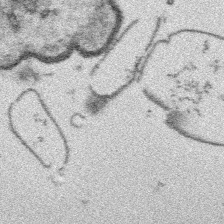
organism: Platynereis dumerilii